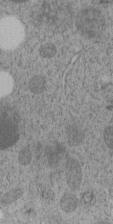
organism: C. elegans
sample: C. elegans embryo early stage